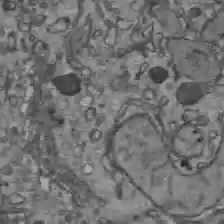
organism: C57BL Mouse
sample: Liver